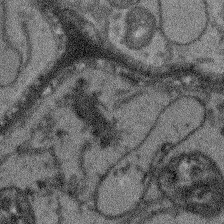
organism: Arabidopsis thaliana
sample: Root tip